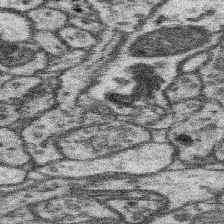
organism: Mouse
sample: Somatosensory cortex neuropil